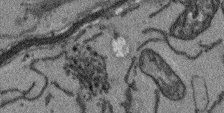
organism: Arabidopsis thaliana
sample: Root tip